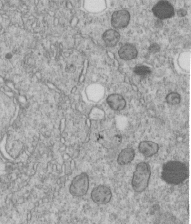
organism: C. elegans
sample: C. elegans embryo early stage